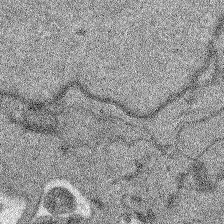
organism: Human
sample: HeLa cells